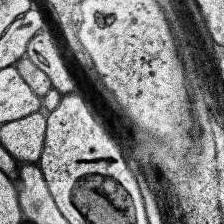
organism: Human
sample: Temporal Lobe